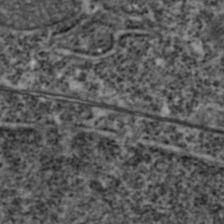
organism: Zebrafish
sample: Zebrafish embryo